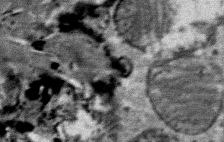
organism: Mouse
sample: Mouse Salivary gland